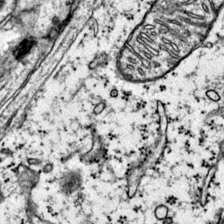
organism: Mouse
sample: Primary visual cortex